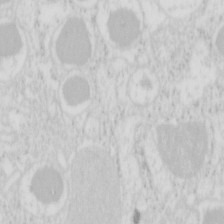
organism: Mouse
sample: Pancreas